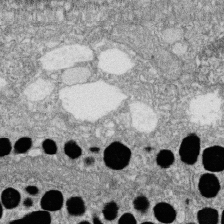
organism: Zebrafish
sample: Cilia; retinal pigment epithelium